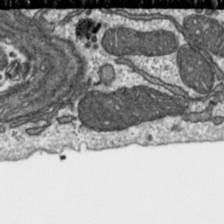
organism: Toxoplasma gondii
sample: Parasites in a vacuole inside a host cell